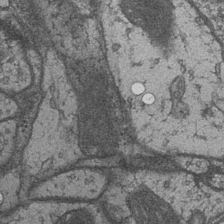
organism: Drosophila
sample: Optic medulla